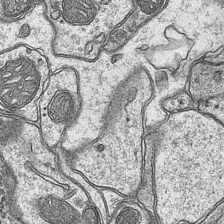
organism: Mouse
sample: CA1 Hippocampus